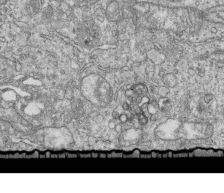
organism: Human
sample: HeLa cell HIV synapse